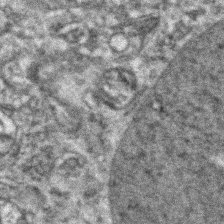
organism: Zebrafish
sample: Zebrafish embryo